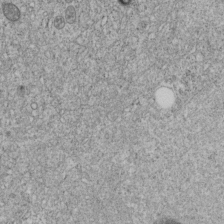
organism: C. elegans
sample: C. elegans embryo early stage